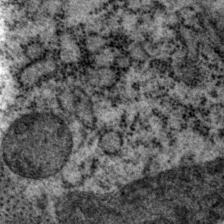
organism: P. pacificus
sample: Pharynx